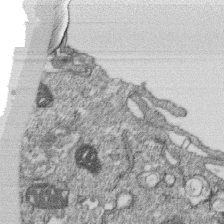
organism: African green monkey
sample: Vero E6 cells infected with SARS-CoV-2